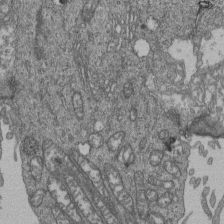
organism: Human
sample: Retinal organoid Rod and Cone cells